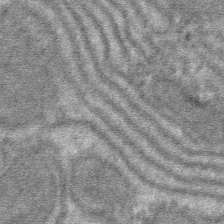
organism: Mouse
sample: Mouse hepatocytes